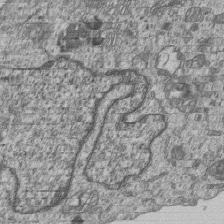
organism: Human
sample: MDA-MB-231 cells